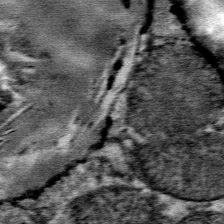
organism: Mouse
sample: Mouse Salivary gland